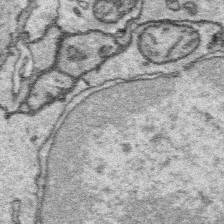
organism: Platynereis dumerilii